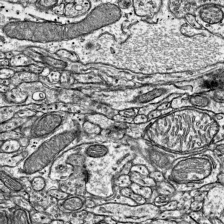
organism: Mouse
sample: Visual Cortex